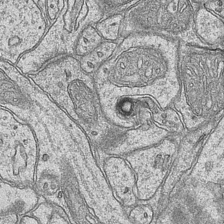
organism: Mouse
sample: CA1 Hippocampus